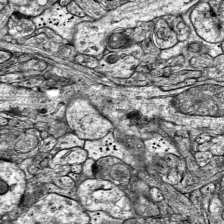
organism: Mouse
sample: Visual Cortex